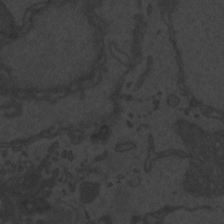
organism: Zebrafish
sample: Macrophage infected with Toxoplasma gondii